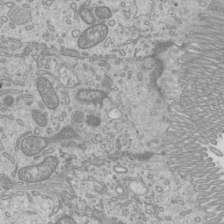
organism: Mouse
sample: Cilia; mouse epididymis